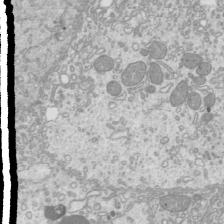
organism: Mouse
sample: Cilia; mouse epididymis